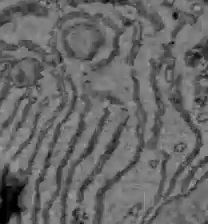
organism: C57BL Mouse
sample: Liver